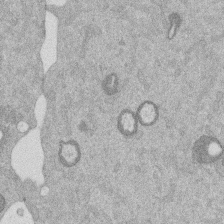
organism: Mouse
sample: Dividing mouse embryo 1 cell stage